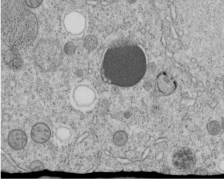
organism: C. elegans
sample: C. elegans embryo early stage